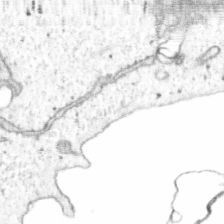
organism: Human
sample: HeLa cells